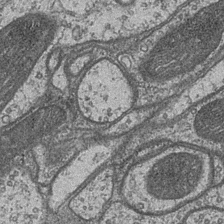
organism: Drosophila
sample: Optic medulla